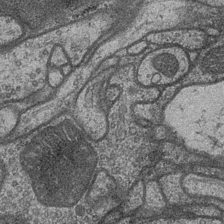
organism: Drosophila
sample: Optic medulla